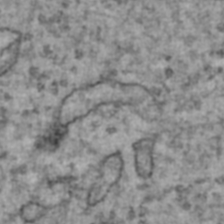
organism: Human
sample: Blood